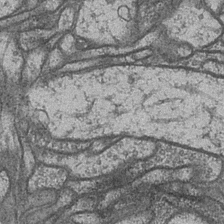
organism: Drosophila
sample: Optic medulla